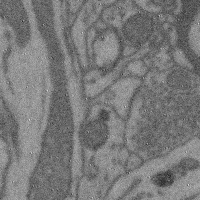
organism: Mouse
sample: Cerebral cortex